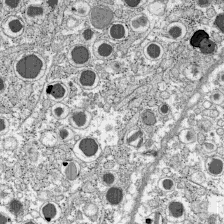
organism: C57BL Mouse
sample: Pancreatic islet